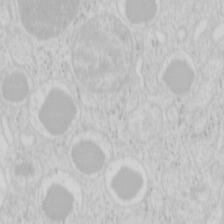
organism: Mouse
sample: Pancreas